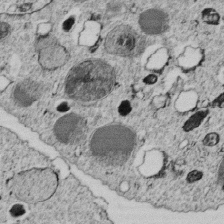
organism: C. elegans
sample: C. elegans embryo early stage